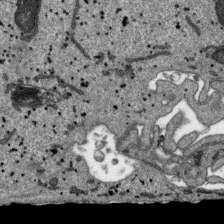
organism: Human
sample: Lung epithelial cells, uninfected (mock) control